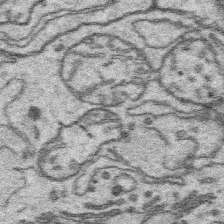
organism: Platynereis dumerilii